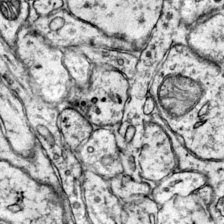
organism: Mouse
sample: Primary visual cortex